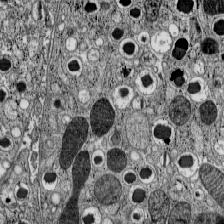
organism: C57BL Mouse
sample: Pancreatic islet